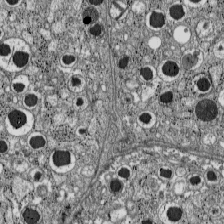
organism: C57BL Mouse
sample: Pancreatic islet